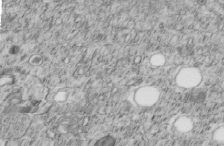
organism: C. elegans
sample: C. elegans embryo early stage